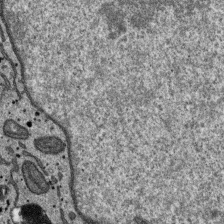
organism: Human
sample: Lung epithelial cells, uninfected (mock) control